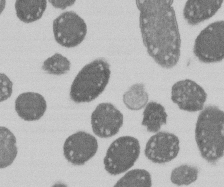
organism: E. coli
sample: Bacterial nucleoid